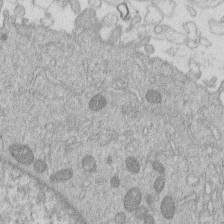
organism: Human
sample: Macrophage cells